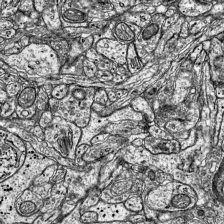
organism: Mouse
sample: Visual Cortex